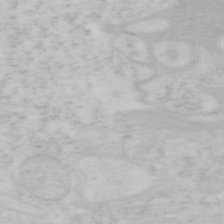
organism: Mouse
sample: OT-I killer T cells with ID8 ovarian cancer cells